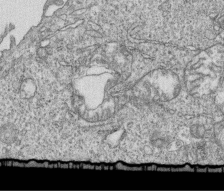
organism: Human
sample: HeLa cell HIV synapse